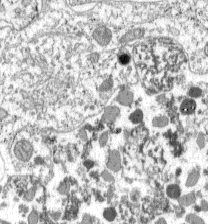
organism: C57BL Mouse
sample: Pancreatic islet